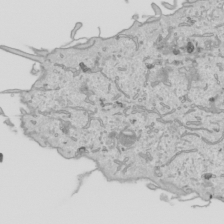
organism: Human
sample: Mitochondria in HCT116 cells